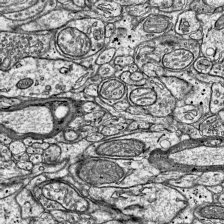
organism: Mouse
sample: Visual Cortex